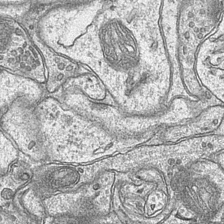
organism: Mouse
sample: CA1 Hippocampus